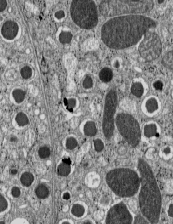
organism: C57BL Mouse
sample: Pancreatic islet